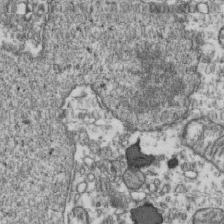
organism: Human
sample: Activated Jurkat CD4+ T cells